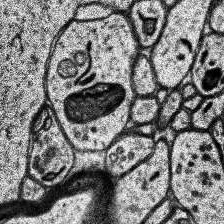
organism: Human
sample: Temporal Lobe